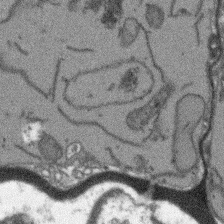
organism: Arabidopsis thaliana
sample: Root tip